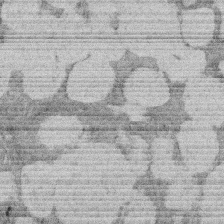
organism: Rat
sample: Salivary granule